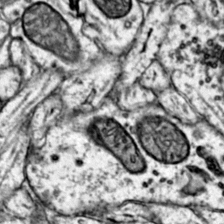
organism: Mouse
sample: Primary visual cortex